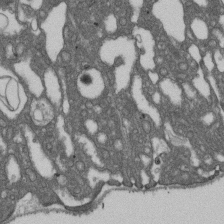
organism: Drosophila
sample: Nephrocyte